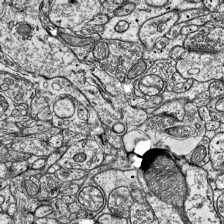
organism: Mouse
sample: Visual Cortex